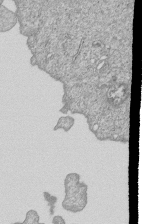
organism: Human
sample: MDA-MB-231 cells